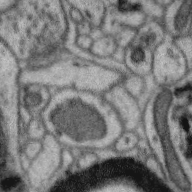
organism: Zebra finch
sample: Brain